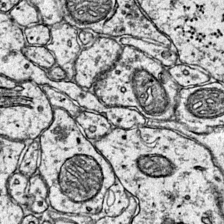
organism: Mouse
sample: Primary visual cortex